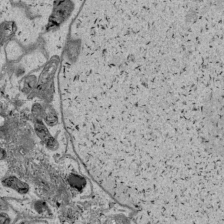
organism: Human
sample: Mitochondria in HCT116 cells